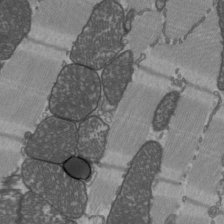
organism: C57BL Mouse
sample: Heart